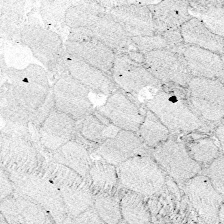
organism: Zebrafish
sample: Whole-Brain